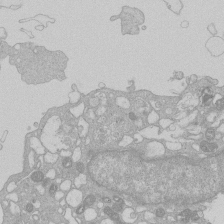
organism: Human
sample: Macrophage cells